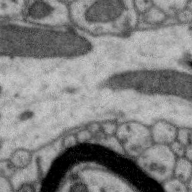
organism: Zebra finch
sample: Brain